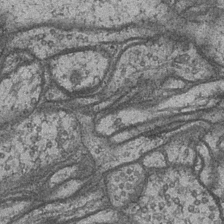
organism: Drosophila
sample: Optic medulla